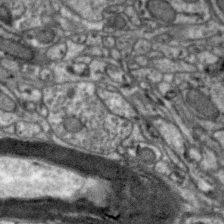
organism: Zebra finch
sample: Brain